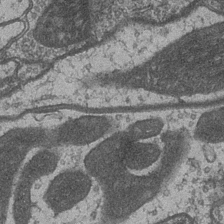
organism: Drosophila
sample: Optic medulla